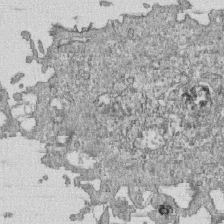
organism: Human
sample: HeLa cell HIV synapse